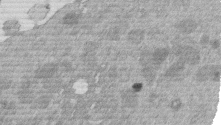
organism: Mouse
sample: Dividing mouse embryo 1 cell stage